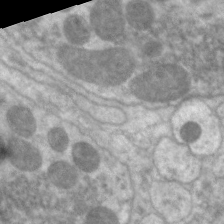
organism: C. elegans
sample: Pharynx